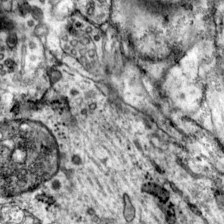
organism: Mouse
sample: Primary visual cortex